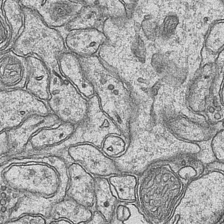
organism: Mouse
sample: CA1 Hippocampus